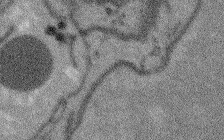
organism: Arabidopsis thaliana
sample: Root tip